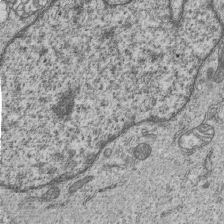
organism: Human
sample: MDA-MB-231 cells